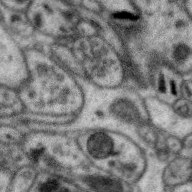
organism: Zebra finch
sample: Brain